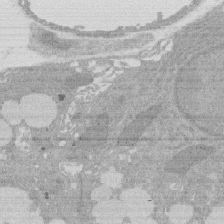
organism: Rat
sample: Salivary granule